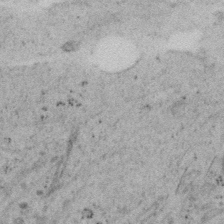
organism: Human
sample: HeLa cells